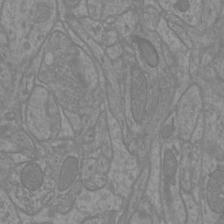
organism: Mouse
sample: Cortical neurons